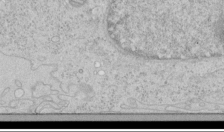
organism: Human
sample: Mitochondria in HCT116 cells